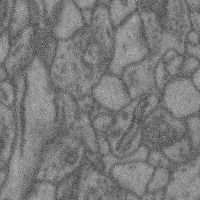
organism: Mouse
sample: Cerebral cortex